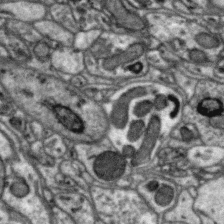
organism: Zebra finch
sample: Brain